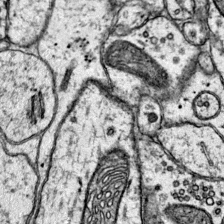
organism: Mouse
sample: Primary visual cortex